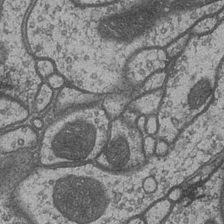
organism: Drosophila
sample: Optic medulla